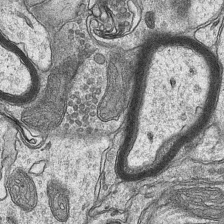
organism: Mouse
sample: CA1 Hippocampus